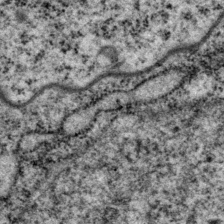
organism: P. pacificus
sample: Pharynx